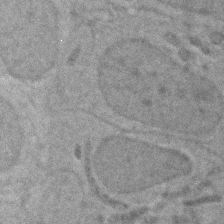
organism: Zebrafish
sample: Zebrafish embryo